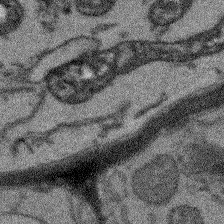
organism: Arabidopsis thaliana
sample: Root tip